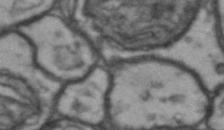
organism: Drosophila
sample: Brain